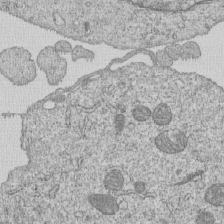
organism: Human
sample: MDA-MB-231 cells